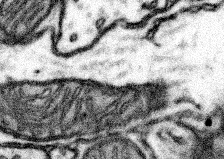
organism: Mouse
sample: Somatosensory cortex neuropil